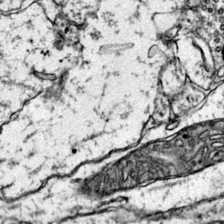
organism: Mouse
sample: Primary visual cortex